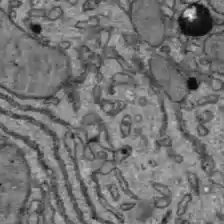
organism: C57BL Mouse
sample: Liver